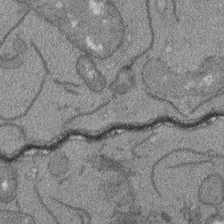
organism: Arabidopsis thaliana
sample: Root tip